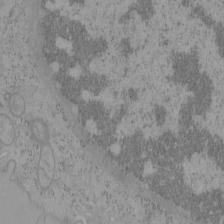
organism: Mouse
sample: OT-I killer T cells with ID8 ovarian cancer cells